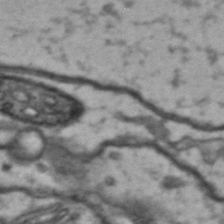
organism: Drosophila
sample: Brain